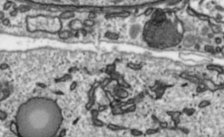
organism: Toxoplasma gondii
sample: Parasites in a vacuole inside a host cell